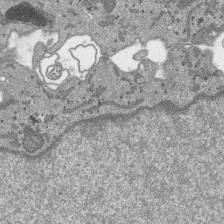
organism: Human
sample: Lung epithelial cells infected with SARS-CoV-2